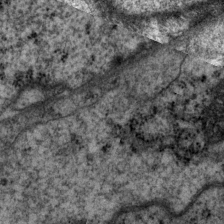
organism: P. pacificus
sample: Pharynx